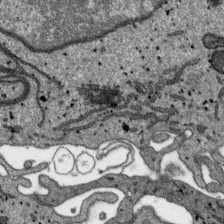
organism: Human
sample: Lung epithelial cells, uninfected (mock) control